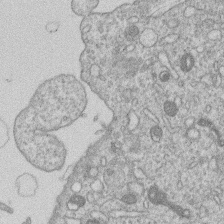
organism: Human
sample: Macrophage cells